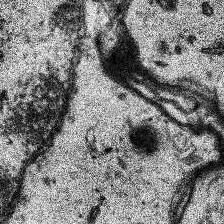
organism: Human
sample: Temporal Lobe